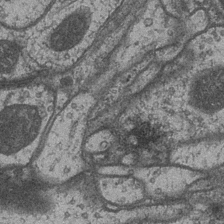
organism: Drosophila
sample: Optic medulla